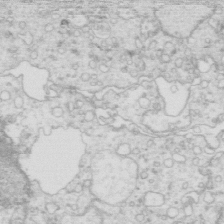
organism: Mouse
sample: Multiciliated cells